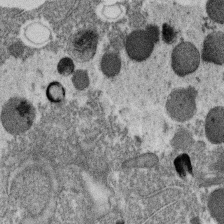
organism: C. elegans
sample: C. elegans oocyte; sperm cells